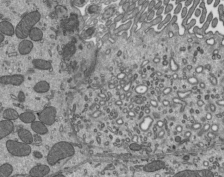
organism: Mouse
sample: Mouse epididymis efferent ductule cilia